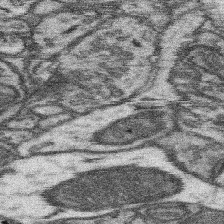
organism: Mouse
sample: Somatosensory cortex neuropil